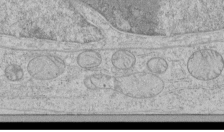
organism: Human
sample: Mitochondria in HCT116 cells